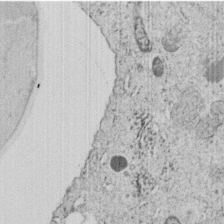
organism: C. elegans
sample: C. elegans embryo early stage